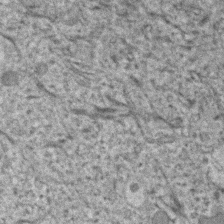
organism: Human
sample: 1205lu cells